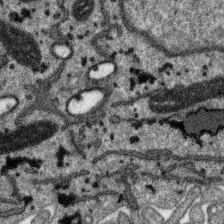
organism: Human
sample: Lung epithelial cells infected with SARS-CoV-2